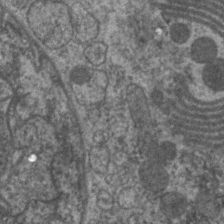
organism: C. elegans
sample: Pharynx